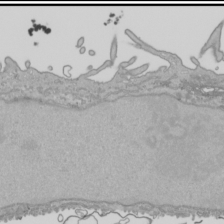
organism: Human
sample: Mitochondria in HCT116 cells